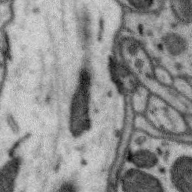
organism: Zebra finch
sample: Brain